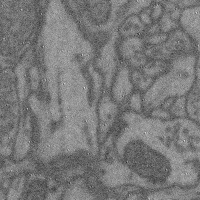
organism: Mouse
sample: Cerebral cortex